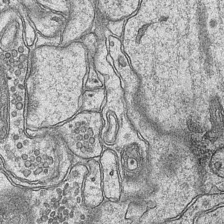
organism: Mouse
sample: CA1 Hippocampus